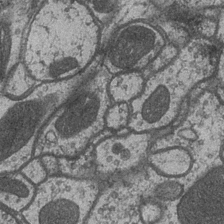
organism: Drosophila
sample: Optic medulla